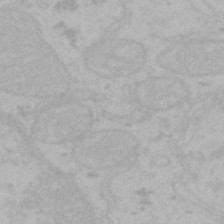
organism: Mouse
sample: Choroid plexus